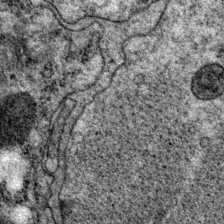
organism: P. pacificus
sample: Pharynx